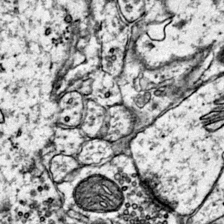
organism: Mouse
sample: Primary visual cortex